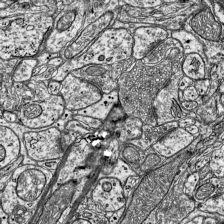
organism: Mouse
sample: Visual Cortex